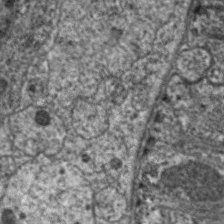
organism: C. elegans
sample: Pharynx